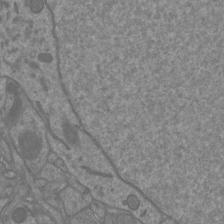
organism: Mouse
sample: Cortical neurons